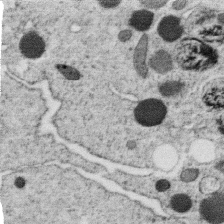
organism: C. elegans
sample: C. elegans oocyte; sperm cells